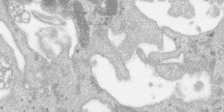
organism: Human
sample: Lung epithelial cells infected with SARS-CoV-2